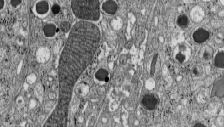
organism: C57BL Mouse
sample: Pancreatic islet